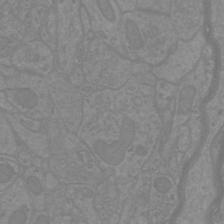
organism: Mouse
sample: Cortical neurons